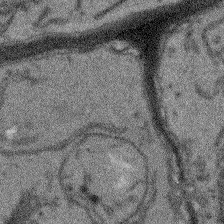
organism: Arabidopsis thaliana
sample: Root tip